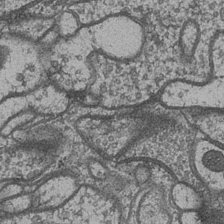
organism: Drosophila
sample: Optic medulla